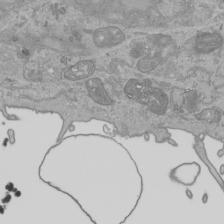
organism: Human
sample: Mitochondria in HCT116 cells